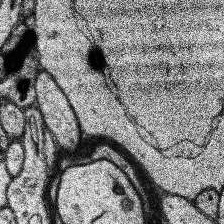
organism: Human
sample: Temporal Lobe